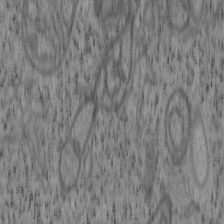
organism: Human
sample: HeLa cells